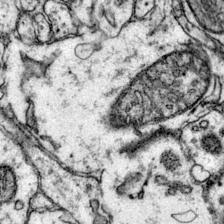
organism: Mouse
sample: Primary visual cortex